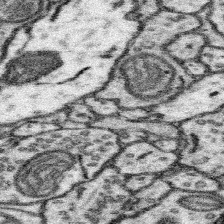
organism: Mouse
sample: Somatosensory cortex neuropil